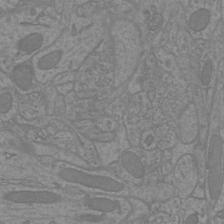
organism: Mouse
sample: Cortical neurons